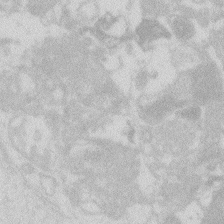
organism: Zebrafish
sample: Macrophage